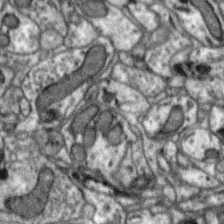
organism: Zebra finch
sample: Brain